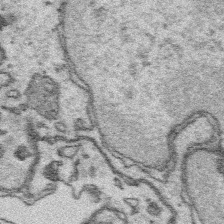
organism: Platynereis dumerilii